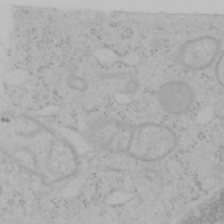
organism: Mouse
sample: OT-I killer T cells with ID8 ovarian cancer cells